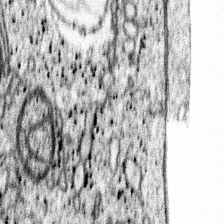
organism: Human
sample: HeLa cells